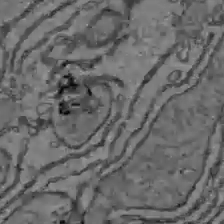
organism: C57BL Mouse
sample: Liver